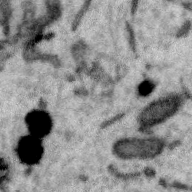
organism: Zebra finch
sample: Brain